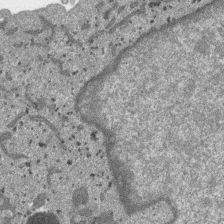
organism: Human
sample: Lung epithelial cells infected with SARS-CoV-2